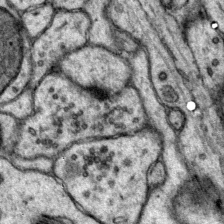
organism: Mouse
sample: Primary visual cortex